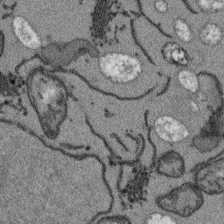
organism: Arabidopsis thaliana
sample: Root tip